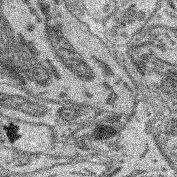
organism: Mouse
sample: Retina